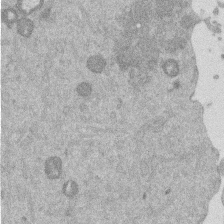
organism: Mouse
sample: Dividing mouse embryo 1 cell stage